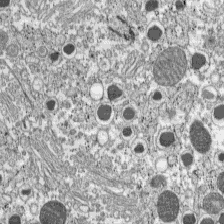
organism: C57BL Mouse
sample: Pancreatic islet